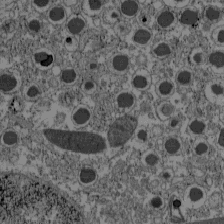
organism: C57BL Mouse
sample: Pancreatic islet